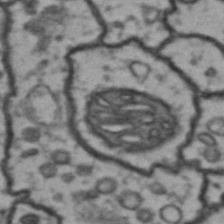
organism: Drosophila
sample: Brain